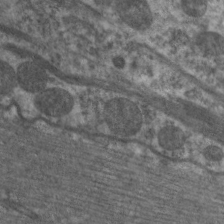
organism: C. elegans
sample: Pharynx